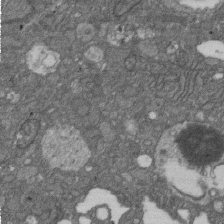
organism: Drosophila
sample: Nephrocyte